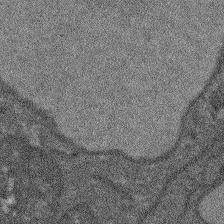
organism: Arabidopsis thaliana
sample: Root tip